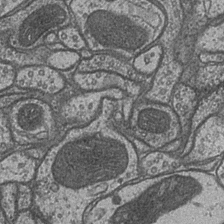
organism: Drosophila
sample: Optic medulla